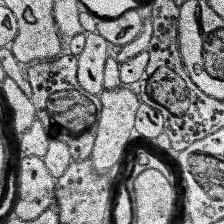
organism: Human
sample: Temporal Lobe